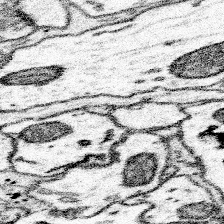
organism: Mouse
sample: Somatosensory cortex neuropil